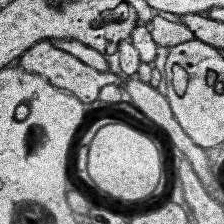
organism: Human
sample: Temporal Lobe